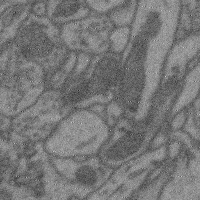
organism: Mouse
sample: Cerebral cortex